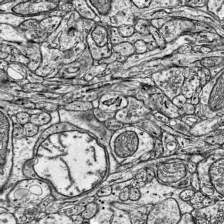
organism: Mouse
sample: Visual Cortex